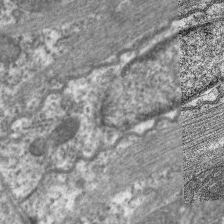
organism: C. elegans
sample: Pharynx